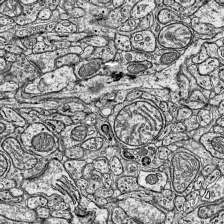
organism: Mouse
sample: Visual Cortex